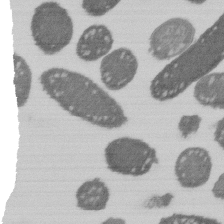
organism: E. coli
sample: Bacterial nucleoid